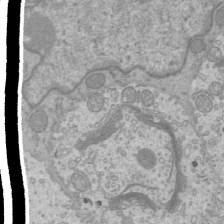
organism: Mouse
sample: Cilia; mouse epididymis